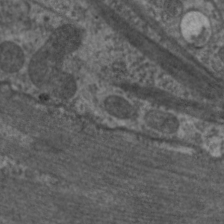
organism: C. elegans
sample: Pharynx